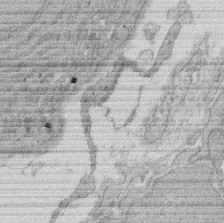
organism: Rat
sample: Salivary granule